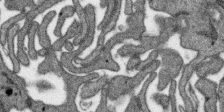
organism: Human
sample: Lung epithelial cells, uninfected (mock) control